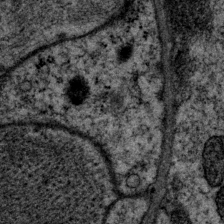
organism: P. pacificus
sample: Pharynx